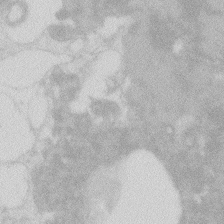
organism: Zebrafish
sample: Macrophage